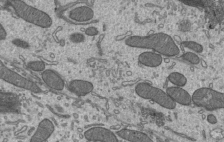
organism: Mouse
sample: Mouse epididymis efferent ductule cilia